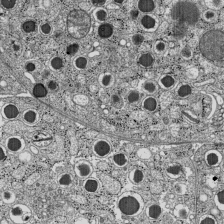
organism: C57BL Mouse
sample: Pancreatic islet